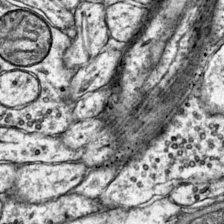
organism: Mouse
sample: Primary visual cortex